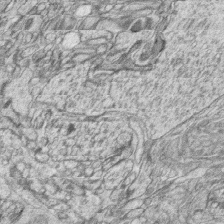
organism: Zebrafish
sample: synaptic ribbons in rod cells and cone cells